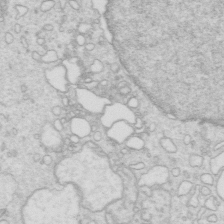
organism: Mouse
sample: Multiciliated cells